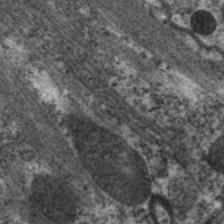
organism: C. elegans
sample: Pharynx